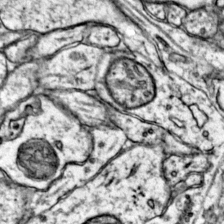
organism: Mouse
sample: Primary visual cortex